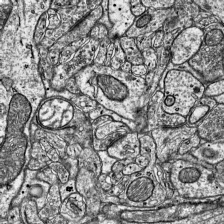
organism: Mouse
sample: Visual Cortex